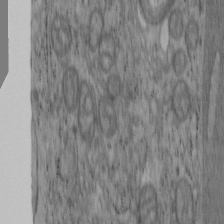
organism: Human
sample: HeLa cells